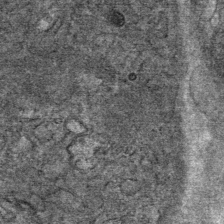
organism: Mouse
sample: Mouse Salivary gland